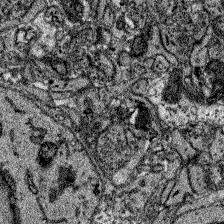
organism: Zebrafish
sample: Larval olfactory bulb